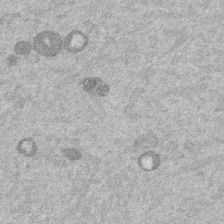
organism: Mouse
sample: Dividing mouse embryo 1 cell stage